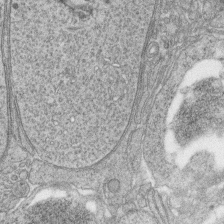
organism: Zebrafish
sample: synaptic ribbons in rod cells and cone cells